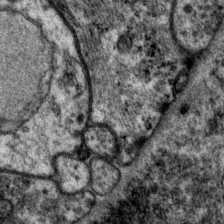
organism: P. pacificus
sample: Pharynx